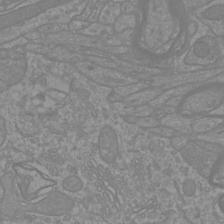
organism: Mouse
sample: Cortical neurons